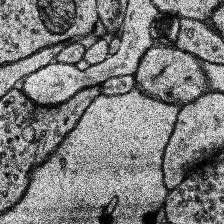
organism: Human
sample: Temporal Lobe